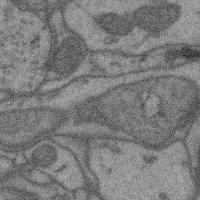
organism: Mouse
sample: Cerebral cortex